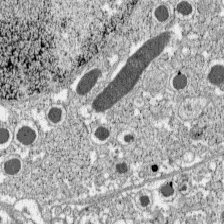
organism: C57BL Mouse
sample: Pancreatic islet